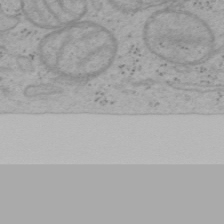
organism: Human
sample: HeLa cells